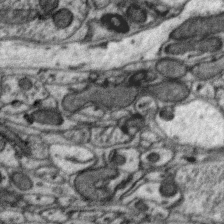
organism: Zebra finch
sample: Brain